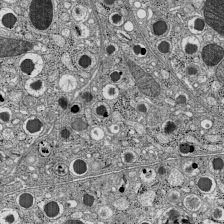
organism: C57BL Mouse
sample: Pancreatic islet